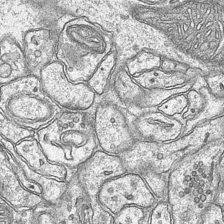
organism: Mouse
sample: CA1 Hippocampus